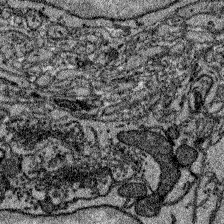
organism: Zebrafish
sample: Larval olfactory bulb